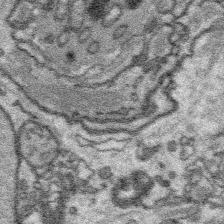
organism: Platynereis dumerilii